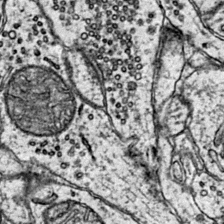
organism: Mouse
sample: Primary visual cortex